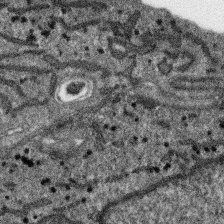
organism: Human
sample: Lung epithelial cells infected with SARS-CoV-2